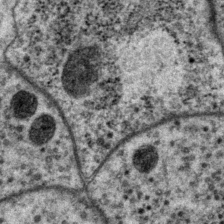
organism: P. pacificus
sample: Pharynx